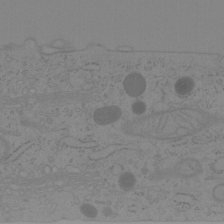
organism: Human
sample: HeLa cells